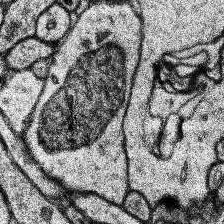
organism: Human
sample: Temporal Lobe